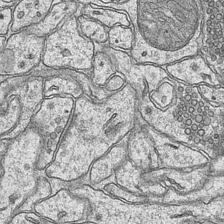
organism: Mouse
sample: CA1 Hippocampus